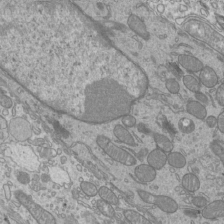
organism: Mouse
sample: Cilia; mouse epididymis